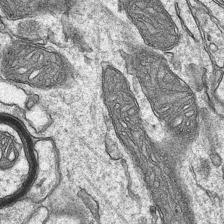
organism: Mouse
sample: CA1 Hippocampus